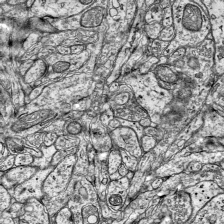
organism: Mouse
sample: Visual Cortex